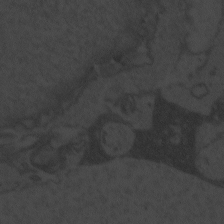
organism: Zebrafish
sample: Macrophage infected with Toxoplasma gondii